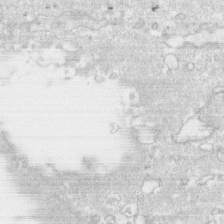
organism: Human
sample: CRL-1474